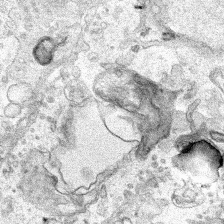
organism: Human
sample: Mitochondria in HCT116 cells